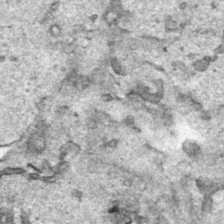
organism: Human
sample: Mitochondria in HCT116 cells